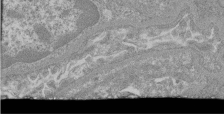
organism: Mouse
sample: Glomerulus